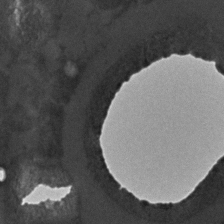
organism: C. elegans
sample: C. elegans embryo